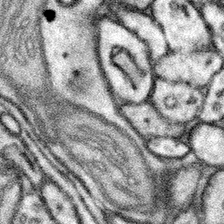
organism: Mouse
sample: Somatosensory cortex neuropil